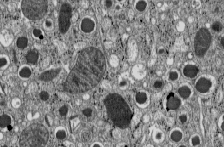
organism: C57BL Mouse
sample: Pancreatic islet